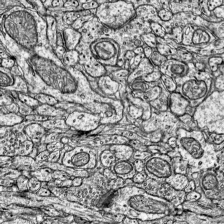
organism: Mouse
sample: Visual Cortex